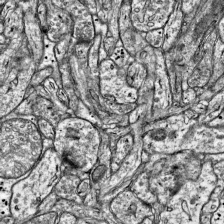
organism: Mouse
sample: Visual Cortex